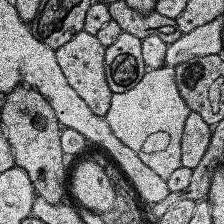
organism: Human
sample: Temporal Lobe